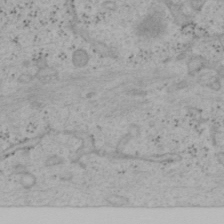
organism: Human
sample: HeLa cells